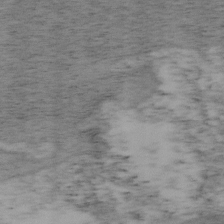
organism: Mouse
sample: OT-I killer T cells with ID8 ovarian cancer cells